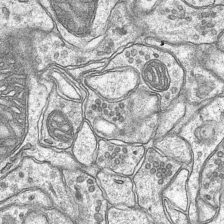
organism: Mouse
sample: CA1 Hippocampus